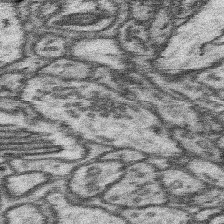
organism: Mouse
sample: Somatosensory cortex neuropil